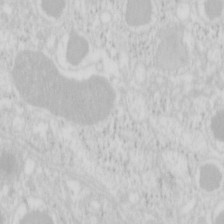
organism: Mouse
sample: Pancreas